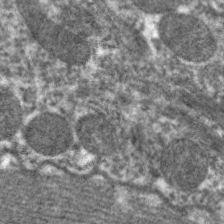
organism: C. elegans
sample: Pharynx